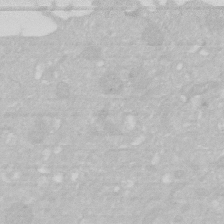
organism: Human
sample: HIV infected U937 cells